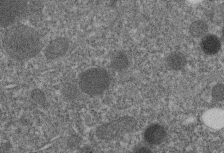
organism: C. elegans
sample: C. elegans embryo early stage